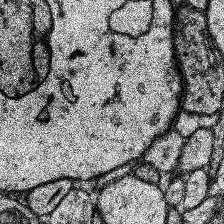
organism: Human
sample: Temporal Lobe